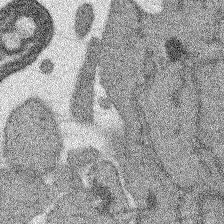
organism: Human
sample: HeLa cells